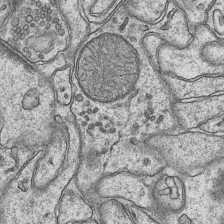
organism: Mouse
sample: CA1 Hippocampus